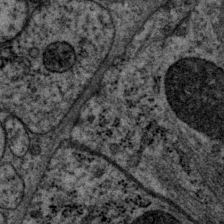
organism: P. pacificus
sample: Pharynx